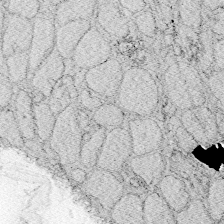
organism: Zebrafish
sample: Whole-Brain